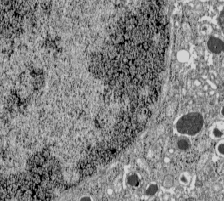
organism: C57BL Mouse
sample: Pancreatic islet